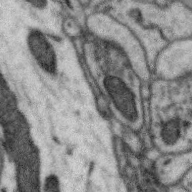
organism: Zebra finch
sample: Brain